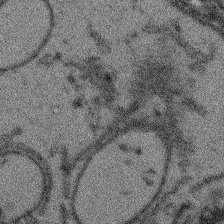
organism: Arabidopsis thaliana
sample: Root tip